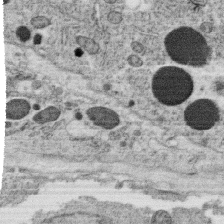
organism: C. elegans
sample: C. elegans oocyte; sperm cells